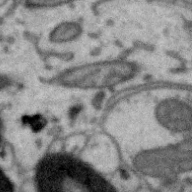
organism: Zebra finch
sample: Brain